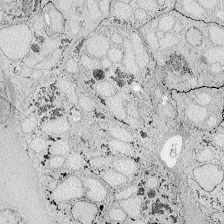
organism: Zebrafish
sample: Whole-Brain